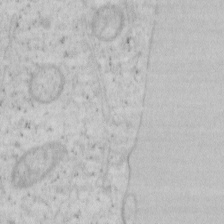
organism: Human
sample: HeLa cells